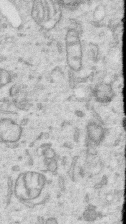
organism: Human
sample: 1205lu cells